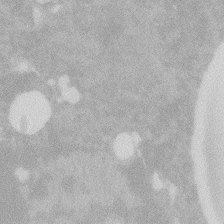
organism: Zebrafish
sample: Macrophage